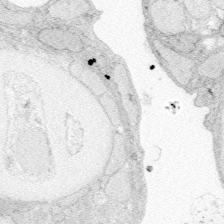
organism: Zebrafish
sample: Whole-Brain